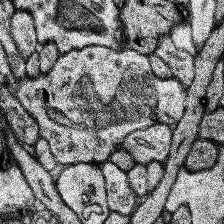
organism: Human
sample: Temporal Lobe